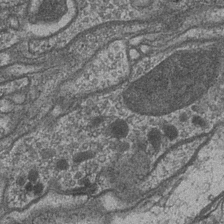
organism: Drosophila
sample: Optic medulla